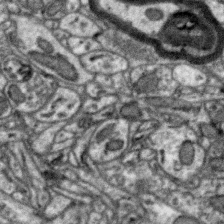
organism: Zebra finch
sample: Brain